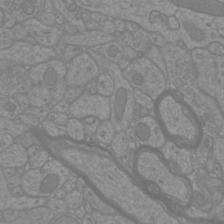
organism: Mouse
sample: Cortical neurons